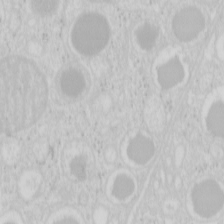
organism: Mouse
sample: Pancreas